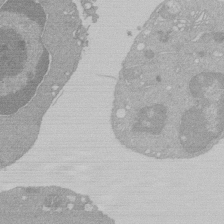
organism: Mouse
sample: Activated Pmel transgenic CD8+ T Cells